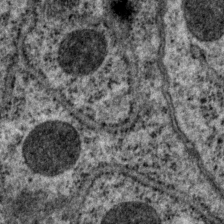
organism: P. pacificus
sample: Pharynx